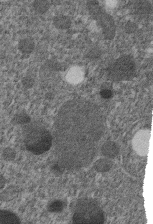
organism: C. elegans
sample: C. elegans embryo early stage